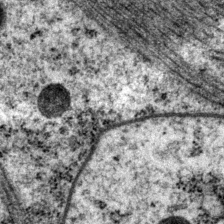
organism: P. pacificus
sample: Pharynx